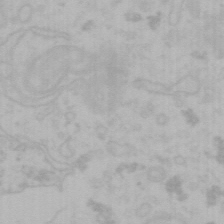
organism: Mouse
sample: Choroid plexus